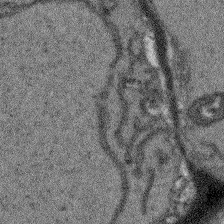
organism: Arabidopsis thaliana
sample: Root tip